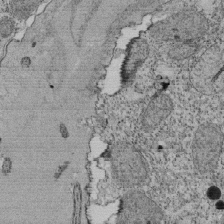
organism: Tetrahymena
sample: Cilia in tetrahymena